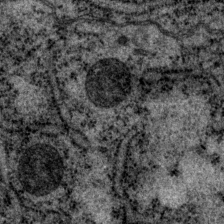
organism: P. pacificus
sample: Pharynx